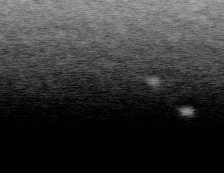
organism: Human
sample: HeLa cells